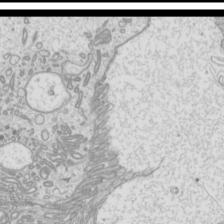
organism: Mouse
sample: Cilia; mouse epididymis